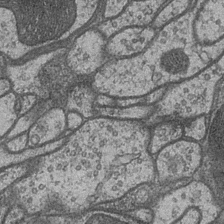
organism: Drosophila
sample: Optic medulla